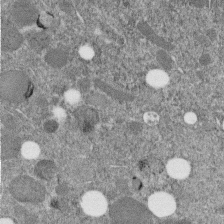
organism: C. elegans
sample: C. elegans embryo early stage